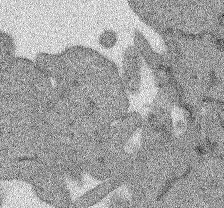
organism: Human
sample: HeLa cells